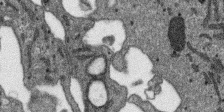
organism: Human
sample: Lung epithelial cells infected with SARS-CoV-2